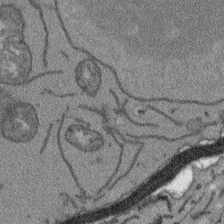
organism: Arabidopsis thaliana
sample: Root tip